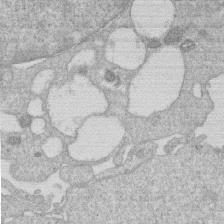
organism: Human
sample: Macrophage cells